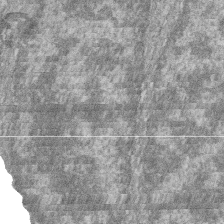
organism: Zebrafish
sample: Cilia; retinal pigment epithelium